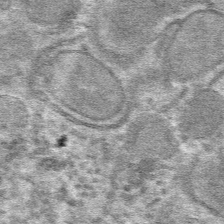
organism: Mouse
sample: Mouse hepatocytes